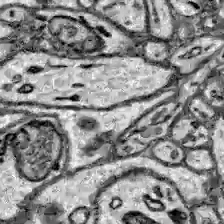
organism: Zebrafish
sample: Brain